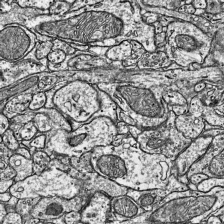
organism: Mouse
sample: Visual Cortex